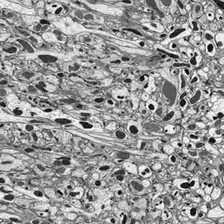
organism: Drosophila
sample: Optic lobe